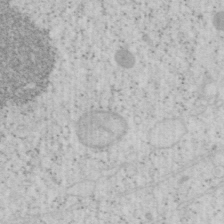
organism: Human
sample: HeLa cells